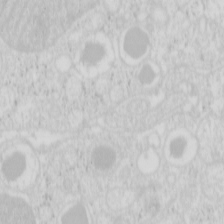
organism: Mouse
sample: Pancreas